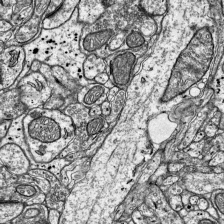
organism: Mouse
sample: Visual Cortex